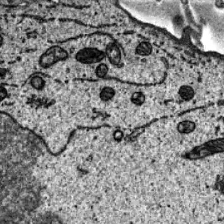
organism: Human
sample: HeLa cells